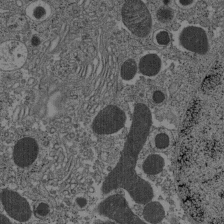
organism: C57BL Mouse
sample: Pancreatic islet